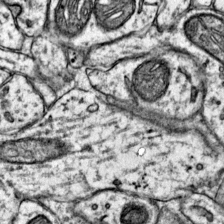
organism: Mouse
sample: Primary visual cortex